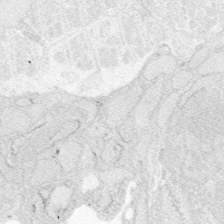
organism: Zebrafish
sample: Whole-Brain